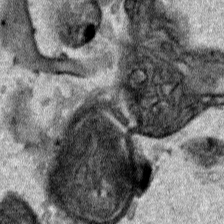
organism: Human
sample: Mitochondria in HCT116 cells